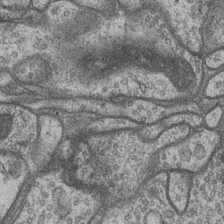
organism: Drosophila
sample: Optic medulla